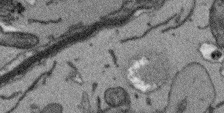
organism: Arabidopsis thaliana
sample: Root tip